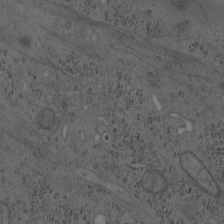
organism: Mouse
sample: OT-I killer T cells with ID8 ovarian cancer cells